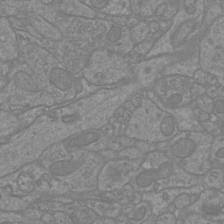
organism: Mouse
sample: Cortical neurons